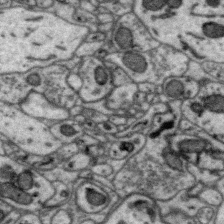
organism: Zebra finch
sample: Brain